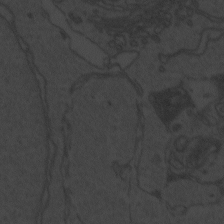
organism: Zebrafish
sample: Macrophage infected with Toxoplasma gondii